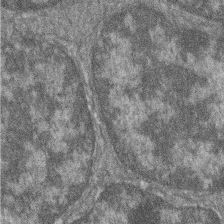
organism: Zebrafish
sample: Cilia; retinal pigment epithelium